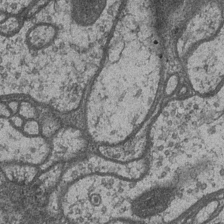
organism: Drosophila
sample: Optic medulla